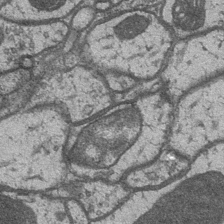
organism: Drosophila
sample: Optic medulla